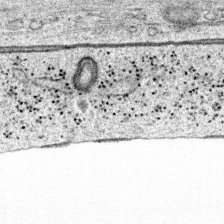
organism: Human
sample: HeLa cells